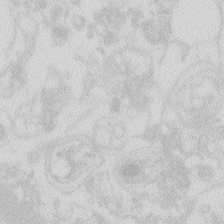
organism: Zebrafish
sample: Macrophage